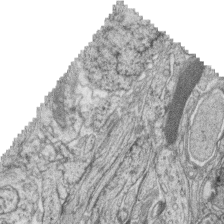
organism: Zebrafish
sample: synaptic ribbons in rod cells and cone cells